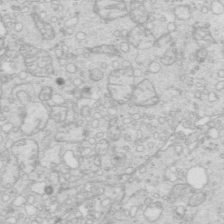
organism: Mouse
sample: Multiciliated cells